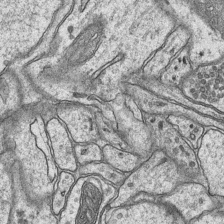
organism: Mouse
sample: CA1 Hippocampus